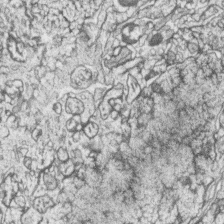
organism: Zebrafish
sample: synaptic ribbons in rod cells and cone cells